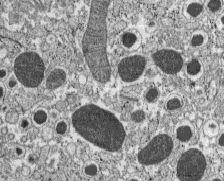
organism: C57BL Mouse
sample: Pancreatic islet